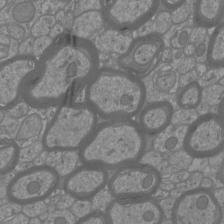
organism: Mouse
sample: Cortical neurons